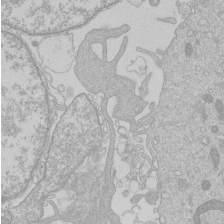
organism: Human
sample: Macrophage cells